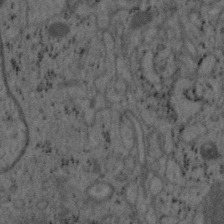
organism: Human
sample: HeLa cells